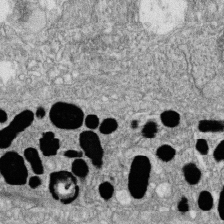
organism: Zebrafish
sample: Cilia; retinal pigment epithelium